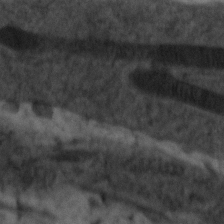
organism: Zebrafish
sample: Zebrafish embryo